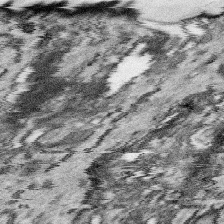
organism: Human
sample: HeLa cells